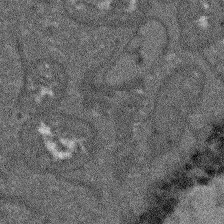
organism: Arabidopsis thaliana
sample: Root tip